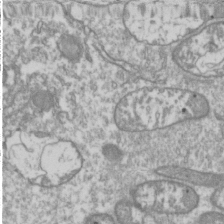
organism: Drosophila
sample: Cell division; meiosis; drosophila spermatocytes